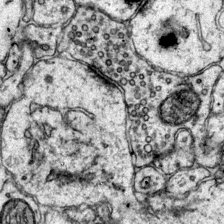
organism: Mouse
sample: Primary visual cortex